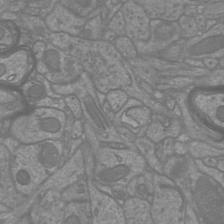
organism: Mouse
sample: Cortical neurons